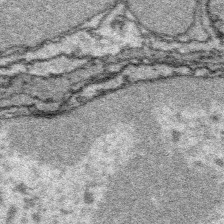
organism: Platynereis dumerilii